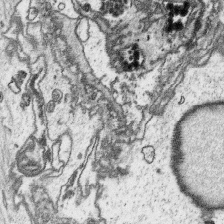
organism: Platynereis dumerilii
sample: Parapodia